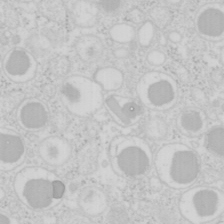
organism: Mouse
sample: Pancreas